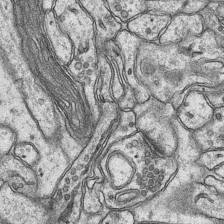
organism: Mouse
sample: CA1 Hippocampus